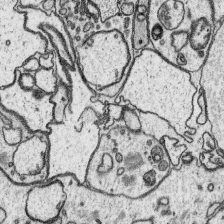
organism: Platynereis dumerilii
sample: Parapodia